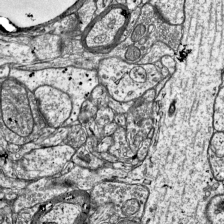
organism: Mouse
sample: Visual Cortex